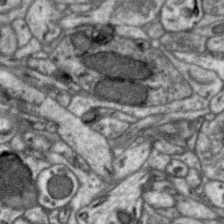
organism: Zebra finch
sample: Brain